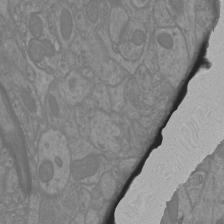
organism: Mouse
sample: Cortical neurons